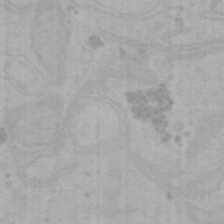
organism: Mouse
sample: Choroid plexus